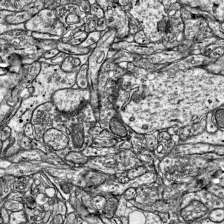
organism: Mouse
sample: Visual Cortex